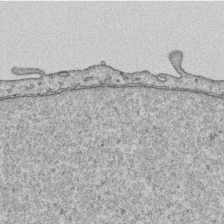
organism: Human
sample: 1205lu cells